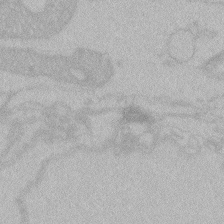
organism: Zebrafish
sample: Macrophage infected with Toxoplasma gondii